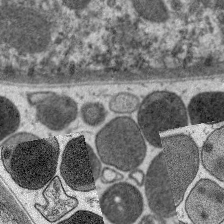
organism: C. elegans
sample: Pharynx